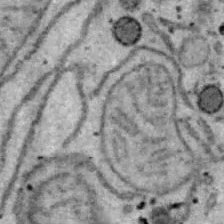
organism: Mouse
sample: Liver from an obese (ob/ob) mouse